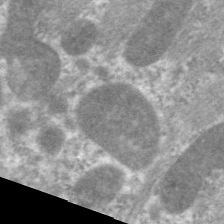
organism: C. elegans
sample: Pharynx